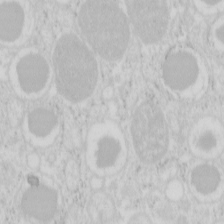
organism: Mouse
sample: Pancreas